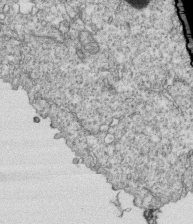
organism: Human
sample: HeLa cell HIV synapse